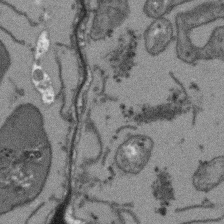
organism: Arabidopsis thaliana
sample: Root tip